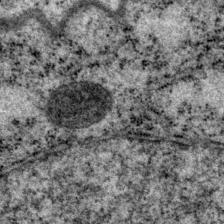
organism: P. pacificus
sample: Pharynx